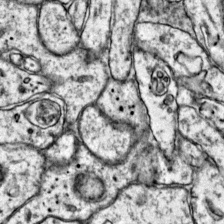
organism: Mouse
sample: Primary visual cortex